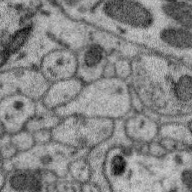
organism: Zebra finch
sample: Brain